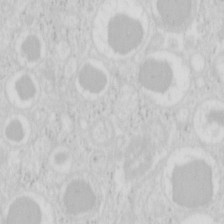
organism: Mouse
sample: Pancreas